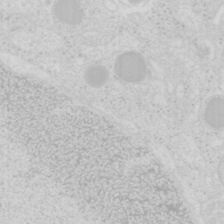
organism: Mouse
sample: Pancreas